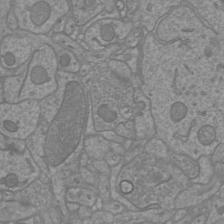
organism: Mouse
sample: Cortical neurons